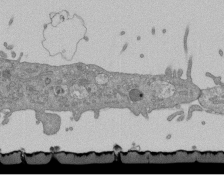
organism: Mouse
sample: ED-1 cell nuclei; centrioles